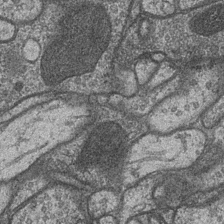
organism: Drosophila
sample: Optic medulla